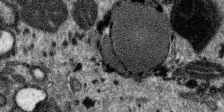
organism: Human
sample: Lung epithelial cells infected with SARS-CoV-2